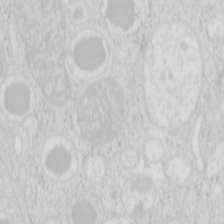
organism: Mouse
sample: Pancreas